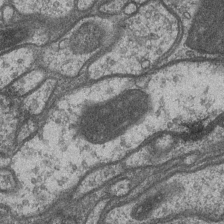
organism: Drosophila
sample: Optic medulla